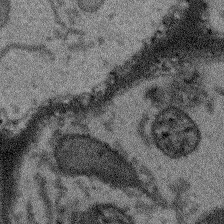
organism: Arabidopsis thaliana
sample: Root tip